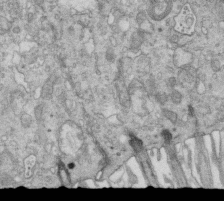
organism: Mouse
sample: Multiciliated cells